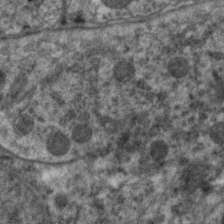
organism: C. elegans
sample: Pharynx